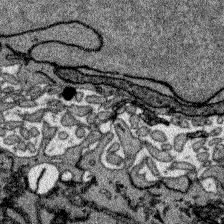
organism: Zebrafish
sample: Larval olfactory bulb